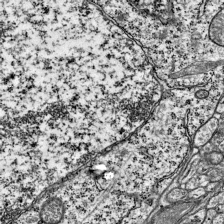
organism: Mouse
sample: Visual Cortex